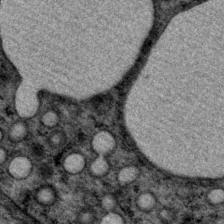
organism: P. pacificus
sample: Pharynx